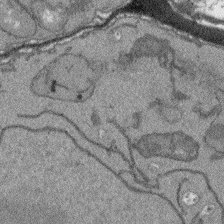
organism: Arabidopsis thaliana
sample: Root tip